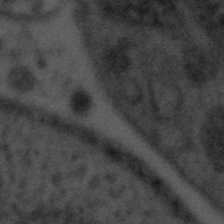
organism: Tuwongella immobilis